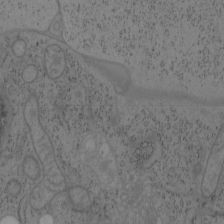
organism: Mouse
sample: OT-I killer T cells with ID8 ovarian cancer cells